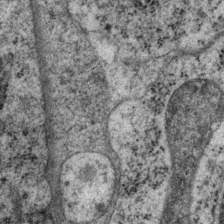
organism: P. pacificus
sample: Pharynx